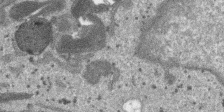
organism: Human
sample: Lung epithelial cells infected with SARS-CoV-2